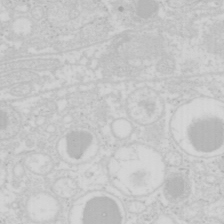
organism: Mouse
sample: Pancreas